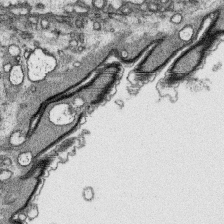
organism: Platynereis dumerilii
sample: Parapodia